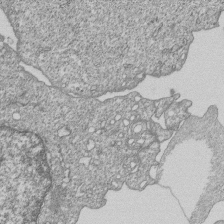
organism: Human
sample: MDA-MB-231 cells